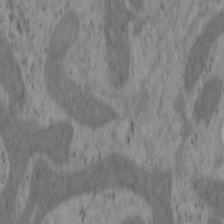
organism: Mouse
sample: OT-I killer T cells with ID8 ovarian cancer cells